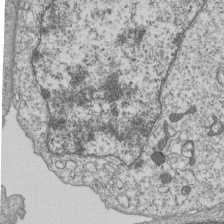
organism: Human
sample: MDA-MB-231 cells